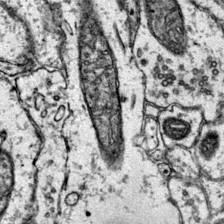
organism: Mouse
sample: Primary visual cortex